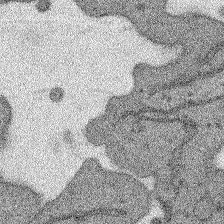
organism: Human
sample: HeLa cells